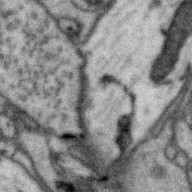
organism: Zebra finch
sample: Brain